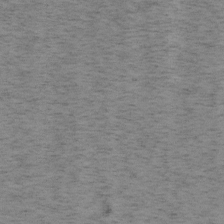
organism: Mouse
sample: OT-I killer T cells with ID8 ovarian cancer cells